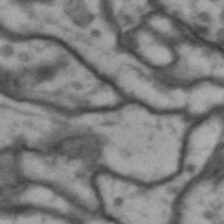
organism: Drosophila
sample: Brain